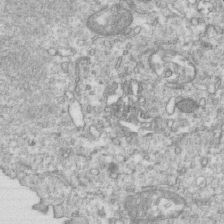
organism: Mouse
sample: Activated OT-1 CD8+ T cells